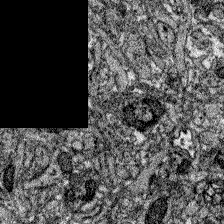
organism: Zebrafish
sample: Larval olfactory bulb